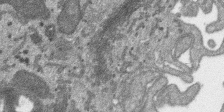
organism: Human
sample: Lung epithelial cells infected with SARS-CoV-2